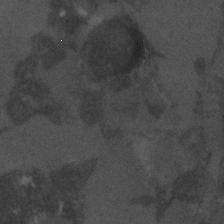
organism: C. elegans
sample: C. elegans embryo